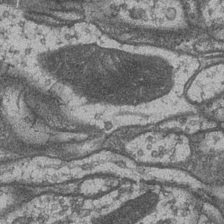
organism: Drosophila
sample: Optic medulla